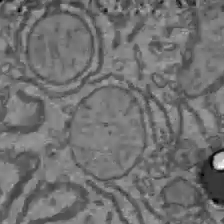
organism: C57BL Mouse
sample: Liver